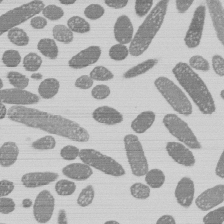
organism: E. coli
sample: Bacterial nucleoid